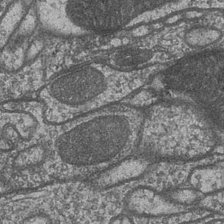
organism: Drosophila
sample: Optic medulla